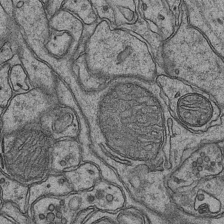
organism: Mouse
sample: CA1 Hippocampus